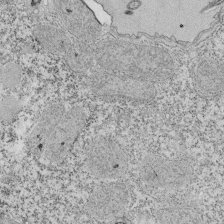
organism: Tetrahymena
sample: Cilia in tetrahymena